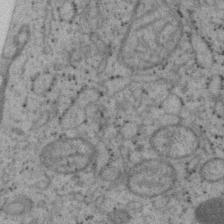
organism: Human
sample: HeLa cells